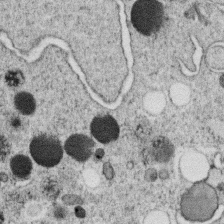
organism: C. elegans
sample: C. elegans oocyte; sperm cells